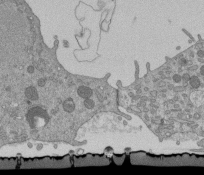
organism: Mouse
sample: ED-1 cell nuclei; centrioles